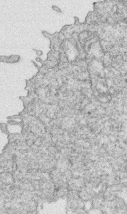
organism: Human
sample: HeLa cell HIV synapse